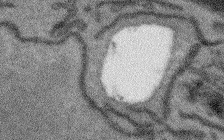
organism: Arabidopsis thaliana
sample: Root tip